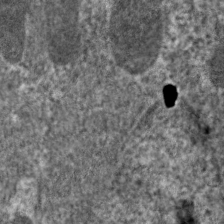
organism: C. elegans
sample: Pharynx